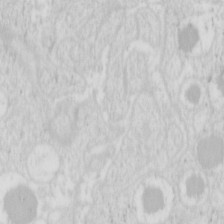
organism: Mouse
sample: Pancreas